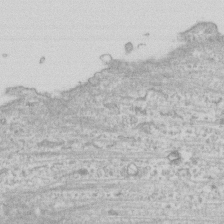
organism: Human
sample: Fibroblast cells